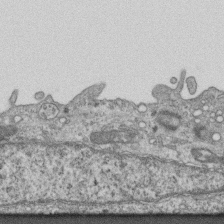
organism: Mouse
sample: Centriole in ependymal cells